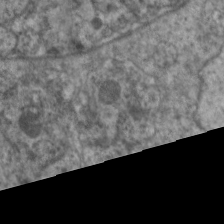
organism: C. elegans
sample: Pharynx